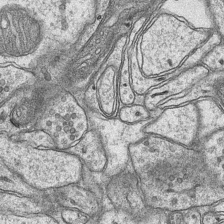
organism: Mouse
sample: CA1 Hippocampus